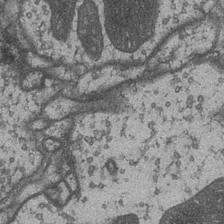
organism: Drosophila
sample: Optic medulla